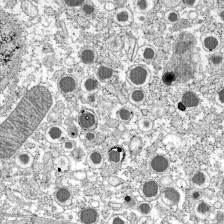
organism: C57BL Mouse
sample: Pancreatic islet